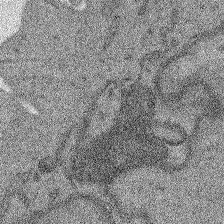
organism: Human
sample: HeLa cells